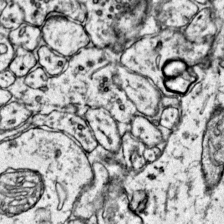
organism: Mouse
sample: Primary visual cortex